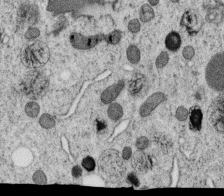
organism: C. elegans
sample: C. elegans oocyte; sperm cells